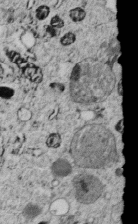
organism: C. elegans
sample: C. elegans embryo early stage